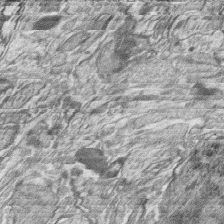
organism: Zebrafish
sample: synaptic ribbons in rod cells and cone cells